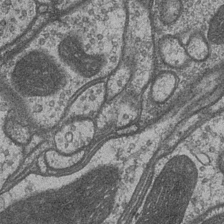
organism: Drosophila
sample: Optic medulla